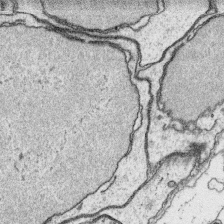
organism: Platynereis dumerilii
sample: Parapodia